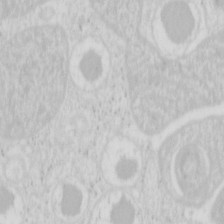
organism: Mouse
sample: Pancreas